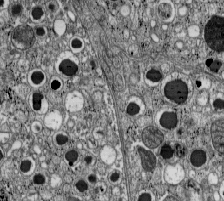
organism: C57BL Mouse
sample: Pancreatic islet